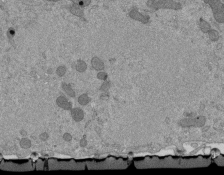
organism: Mouse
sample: ED-1 cell nuclei; centrioles